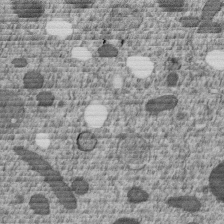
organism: C. elegans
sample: C. elegans embryo early stage